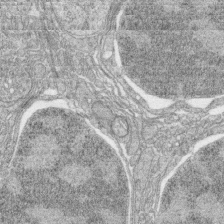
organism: Zebrafish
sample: synaptic ribbons in rod cells and cone cells